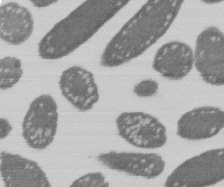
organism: E. coli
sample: Bacterial nucleoid